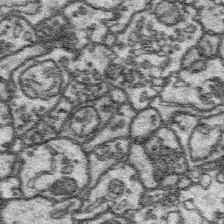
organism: Platynereis dumerilii